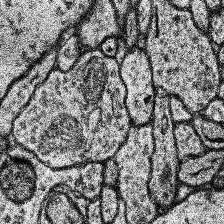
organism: Human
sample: Temporal Lobe